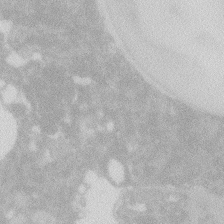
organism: Zebrafish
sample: Macrophage